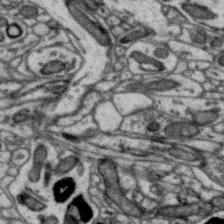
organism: Zebra finch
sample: Brain